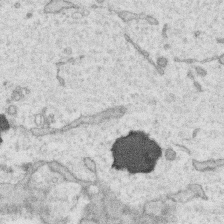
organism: Human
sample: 1205lu cells